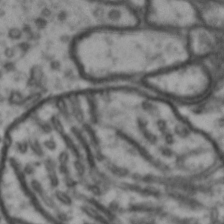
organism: Drosophila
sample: Brain